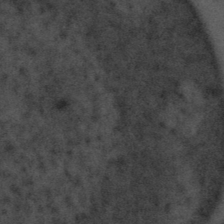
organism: Tuwongella immobilis